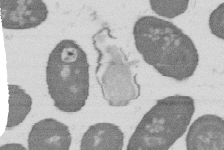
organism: B. subtilis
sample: Bacterial spore